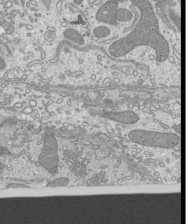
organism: Mouse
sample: Cilia; mouse epididymis